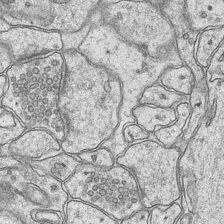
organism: Mouse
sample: CA1 Hippocampus